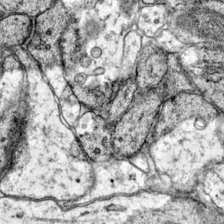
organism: Mouse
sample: Primary visual cortex